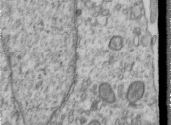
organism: Human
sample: Centriole in RPE cells